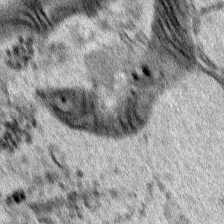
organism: Human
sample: Mitochondria in HCT116 cells